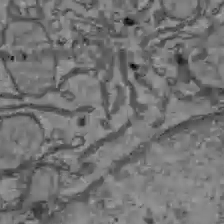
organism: C57BL Mouse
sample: Liver